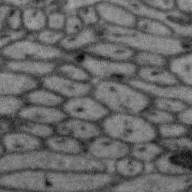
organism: Zebra finch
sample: Brain